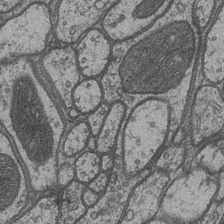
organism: Drosophila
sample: Optic medulla